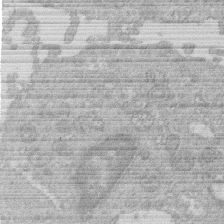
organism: Human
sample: Macrophage cells